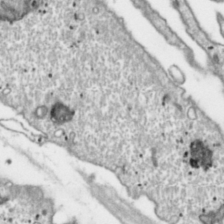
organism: Toxoplasma gondii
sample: Parasites in a vacuole inside a host cell